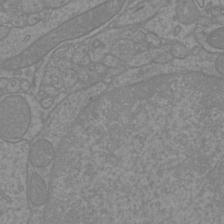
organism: Mouse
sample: Cortical neurons